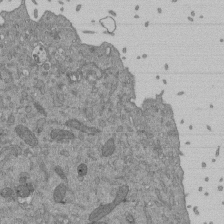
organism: Mouse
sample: ED-1 cell nuclei; centrioles